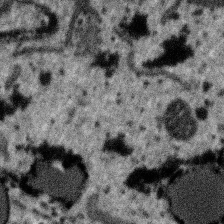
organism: Human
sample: Lung epithelial cells infected with SARS-CoV-2